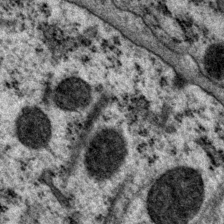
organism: P. pacificus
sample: Pharynx